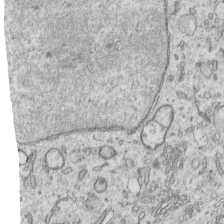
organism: Human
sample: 1205lu cells